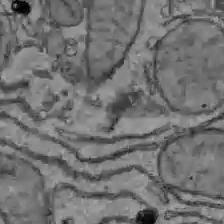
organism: C57BL Mouse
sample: Liver